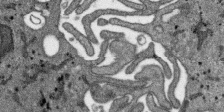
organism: Human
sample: Lung epithelial cells, uninfected (mock) control